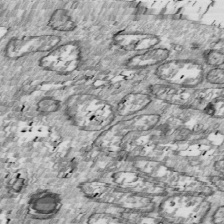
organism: Drosophila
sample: Cell division; meiosis; drosophila spermatocytes